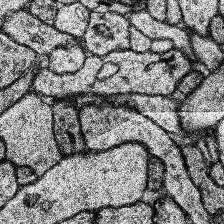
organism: Human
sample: Temporal Lobe